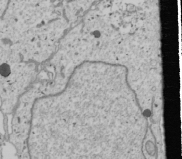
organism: Human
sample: Mitochondria in U2OS cells